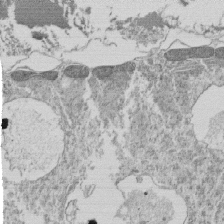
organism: Tetrahymena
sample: Cilia in tetrahymena